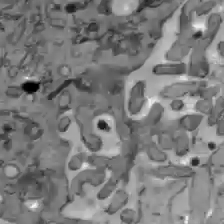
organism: C57BL Mouse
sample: Liver